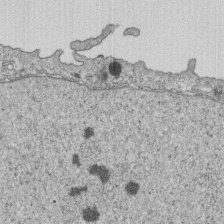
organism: Human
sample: HeLa cell HIV synapse